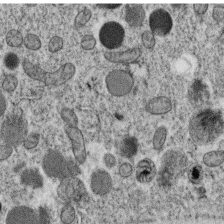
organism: C. elegans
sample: C. elegans oocyte; sperm cells